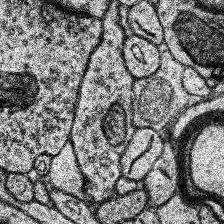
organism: Human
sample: Temporal Lobe